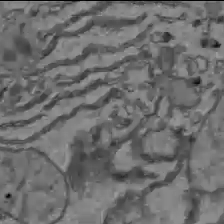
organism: C57BL Mouse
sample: Liver